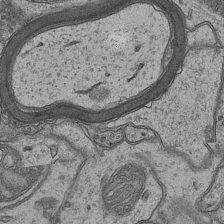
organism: Mouse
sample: CA1 Hippocampus